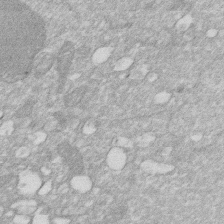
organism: Human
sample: HIV infected U937 cells